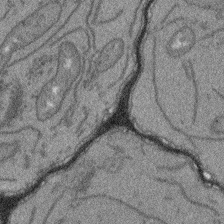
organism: Arabidopsis thaliana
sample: Root tip